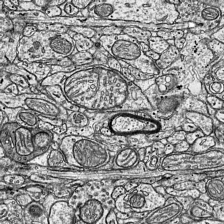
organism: Mouse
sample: Visual Cortex